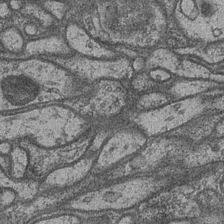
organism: Drosophila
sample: Optic medulla